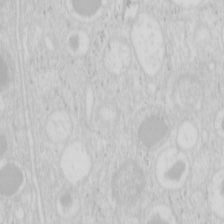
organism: Mouse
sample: Pancreas